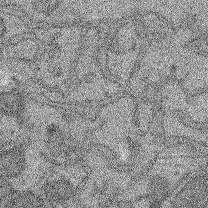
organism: Human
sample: HeLa cells